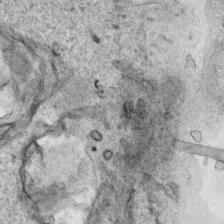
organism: Human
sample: Mitochondria in HCT116 cells